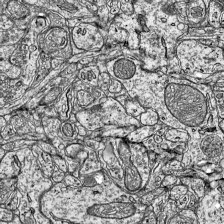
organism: Mouse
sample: Visual Cortex